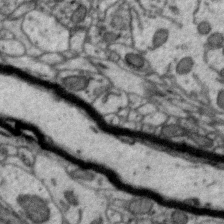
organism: Zebra finch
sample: Brain